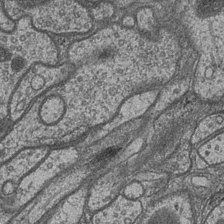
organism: Drosophila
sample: Optic medulla